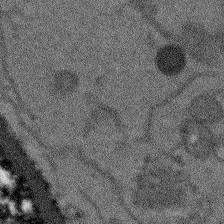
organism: Arabidopsis thaliana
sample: Root tip